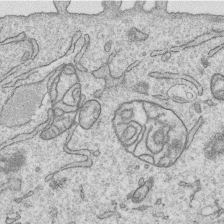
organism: Human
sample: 1205lu cells